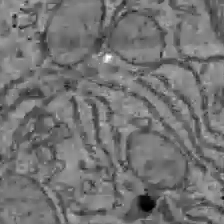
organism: C57BL Mouse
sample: Liver